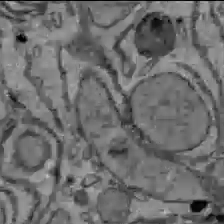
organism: C57BL Mouse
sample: Liver